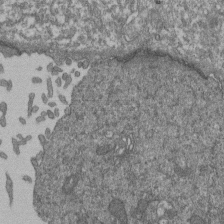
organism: Human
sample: Retinal organoid Rod and Cone cells